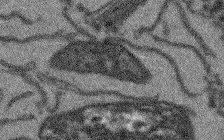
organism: Arabidopsis thaliana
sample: Root tip